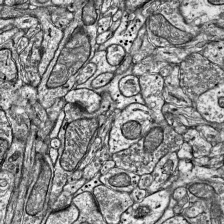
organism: Mouse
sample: Visual Cortex